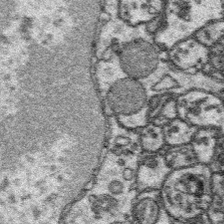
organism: Platynereis dumerilii